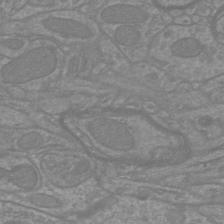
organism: Mouse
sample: Cortical neurons